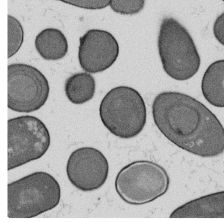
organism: B. subtilis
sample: Bacterial spore